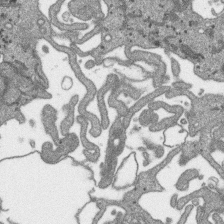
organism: Human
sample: Lung epithelial cells infected with SARS-CoV-2